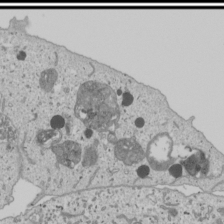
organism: Human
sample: Mitochondria in U2OS cells